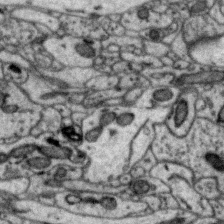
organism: Zebra finch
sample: Brain